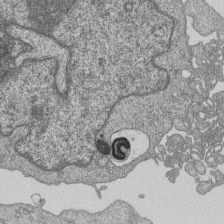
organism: Human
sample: MDA-MB-231 cells